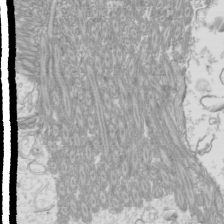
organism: Mouse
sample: Cilia; mouse epididymis